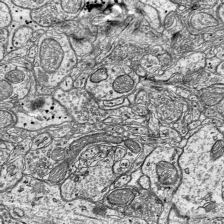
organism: Mouse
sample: Visual Cortex